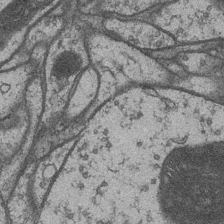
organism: Drosophila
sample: Optic medulla